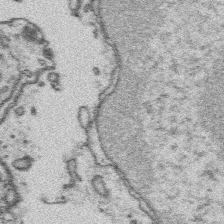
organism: Platynereis dumerilii